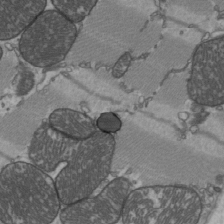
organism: C57BL Mouse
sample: Heart